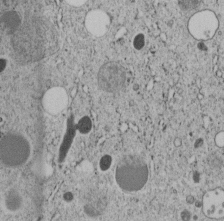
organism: C. elegans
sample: C. elegans embryo early stage